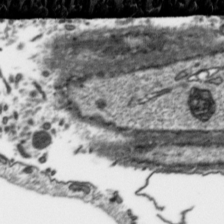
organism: Toxoplasma gondii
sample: Parasites in a vacuole inside a host cell